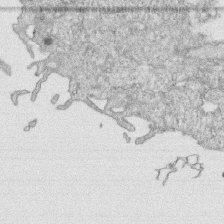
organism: Human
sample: HeLa cell HIV synapse